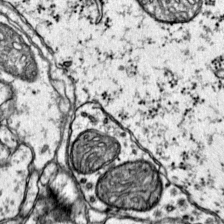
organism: Mouse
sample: Primary visual cortex